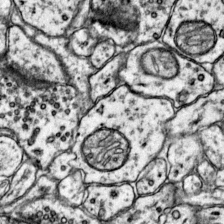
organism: Mouse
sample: Primary visual cortex